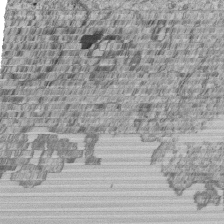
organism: Human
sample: MDA-MB-231 cells